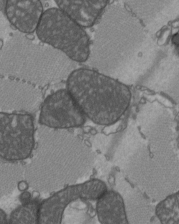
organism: C57BL Mouse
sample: Heart